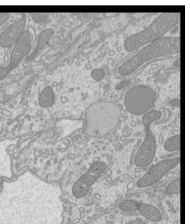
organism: Mouse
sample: Cilia; mouse epididymis